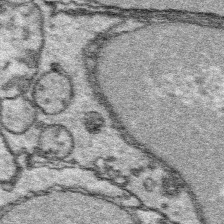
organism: Platynereis dumerilii